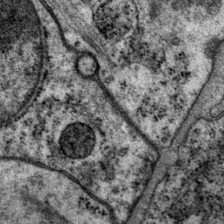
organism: P. pacificus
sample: Pharynx